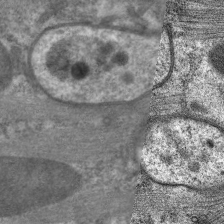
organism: C. elegans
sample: Pharynx